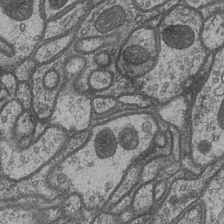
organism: Drosophila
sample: Optic medulla